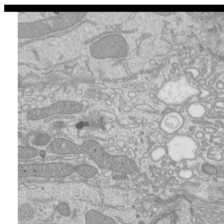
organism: Mouse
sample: Cilia; mouse epididymis